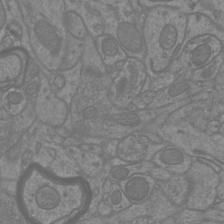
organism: Mouse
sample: Cortical neurons